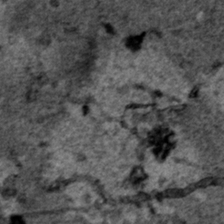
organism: Human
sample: Mitochondria in HCT116 cells